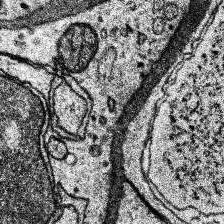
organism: Human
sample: Temporal Lobe